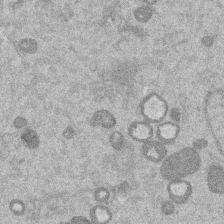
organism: Mouse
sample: Dividing mouse embryo 1 cell stage